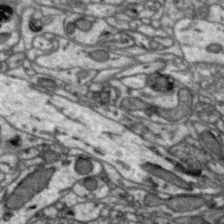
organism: Zebra finch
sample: Brain